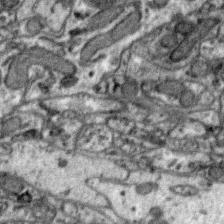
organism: Zebra finch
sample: Brain